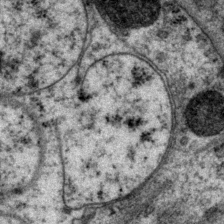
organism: P. pacificus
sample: Pharynx